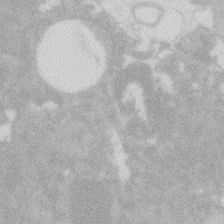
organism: Zebrafish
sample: Macrophage